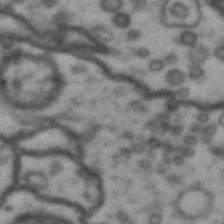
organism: Drosophila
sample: Brain